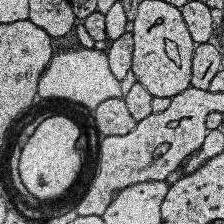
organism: Human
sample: Temporal Lobe